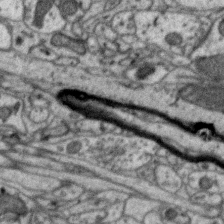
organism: Zebra finch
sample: Brain